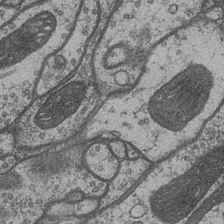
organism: Drosophila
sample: Optic medulla